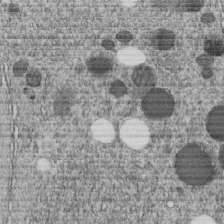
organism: C. elegans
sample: C. elegans embryo early stage